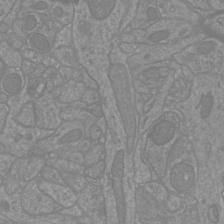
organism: Mouse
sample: Cortical neurons